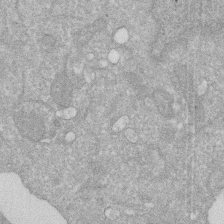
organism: Human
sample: HIV infected U937 cells